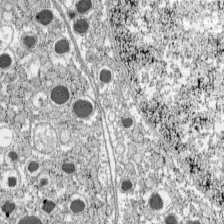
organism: C57BL Mouse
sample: Pancreatic islet